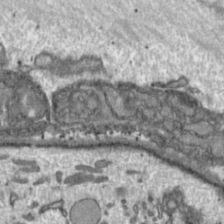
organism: Toxoplasma gondii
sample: Parasites in a vacuole inside a host cell